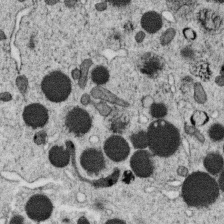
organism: C. elegans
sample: C. elegans oocyte; sperm cells